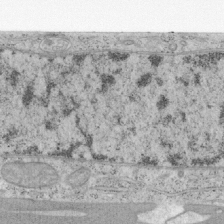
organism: Human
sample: HeLa cells